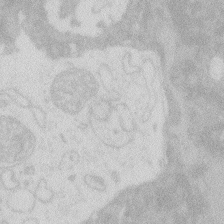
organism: Zebrafish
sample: Macrophage